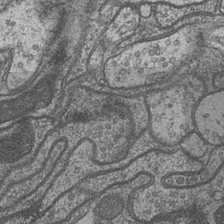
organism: Drosophila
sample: Optic medulla